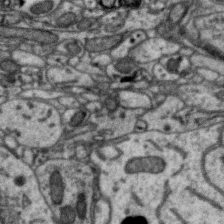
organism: Zebra finch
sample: Brain